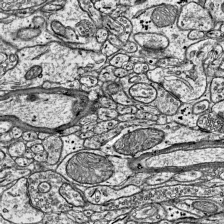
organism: Mouse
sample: Visual Cortex